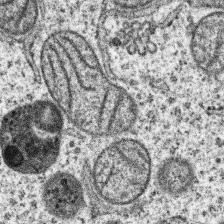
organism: Human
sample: HeLa cells